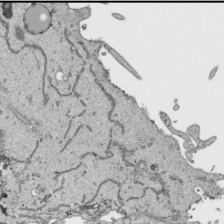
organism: Human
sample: Mitochondria in HCT116 cells